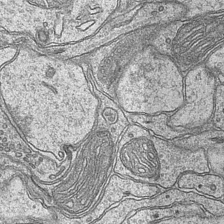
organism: Mouse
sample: CA1 Hippocampus